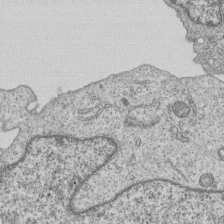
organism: Human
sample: MDA-MB-231 cells